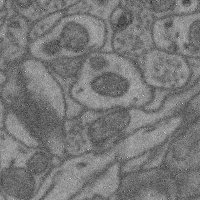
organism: Mouse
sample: Cerebral cortex